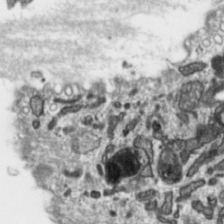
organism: Toxoplasma gondii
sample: Parasites in a vacuole inside a host cell